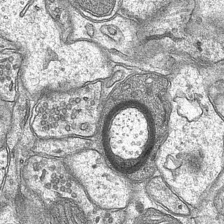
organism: Mouse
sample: CA1 Hippocampus